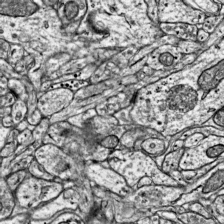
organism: Mouse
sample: Visual Cortex